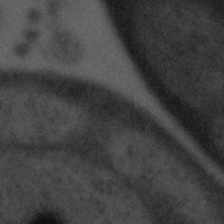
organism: Tuwongella immobilis